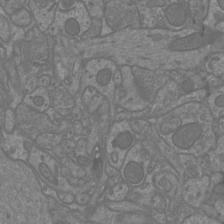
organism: Mouse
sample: Cortical neurons